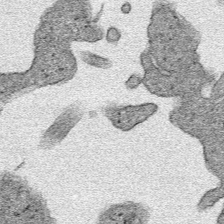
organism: Human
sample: Mitochondria in HCT116 cells